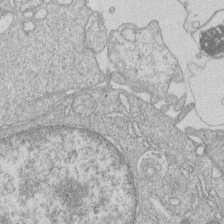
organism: Human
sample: Macrophage cells